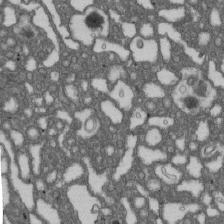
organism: Drosophila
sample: Nephrocyte